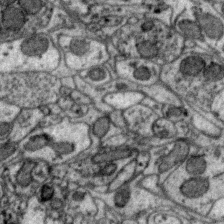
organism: Zebra finch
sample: Brain